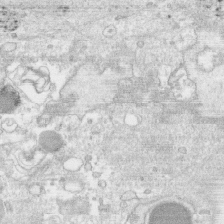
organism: Human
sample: CRL-1474